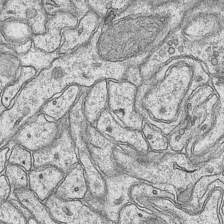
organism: Mouse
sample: CA1 Hippocampus